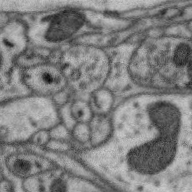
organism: Zebra finch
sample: Brain